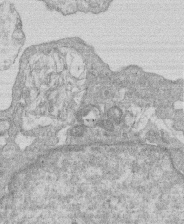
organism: Human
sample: Macrophage cells